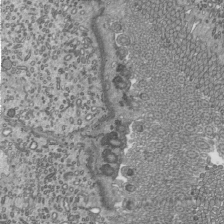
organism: Mouse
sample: Mouse epididymis efferent ductule cilia